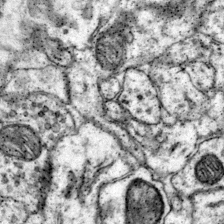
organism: Mouse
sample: Primary visual cortex